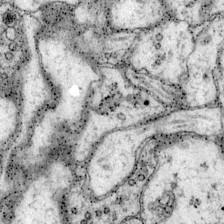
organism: Mouse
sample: Primary visual cortex